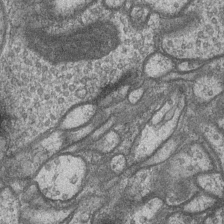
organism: Drosophila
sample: Optic medulla